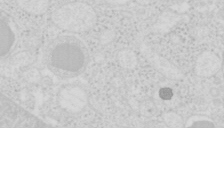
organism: Mouse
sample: Pancreas